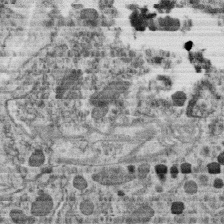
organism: C. elegans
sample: C. elegans oocyte; sperm cells